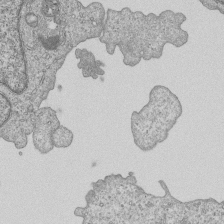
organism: Human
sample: MDA-MB-231 cells